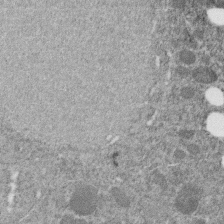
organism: C. elegans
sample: C. elegans embryo early stage